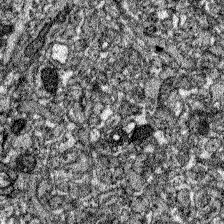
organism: Zebrafish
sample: Larval olfactory bulb